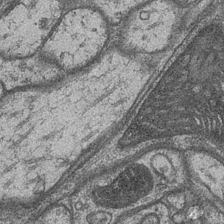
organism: Drosophila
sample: Optic medulla